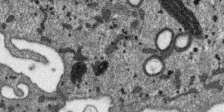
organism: Human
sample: Lung epithelial cells infected with SARS-CoV-2